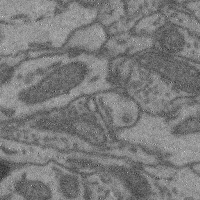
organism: Mouse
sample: Cerebral cortex